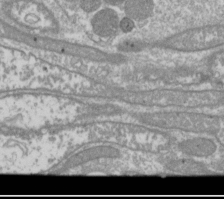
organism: Drosophila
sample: Cell division; meiosis; drosophila spermatocytes